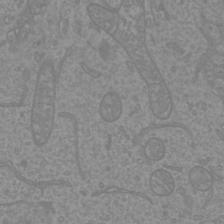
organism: Mouse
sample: Cortical neurons